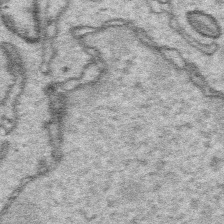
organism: Platynereis dumerilii